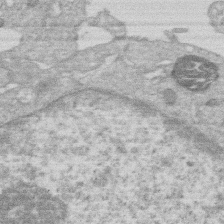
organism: Human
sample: Macrophage cells